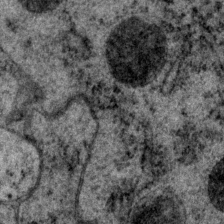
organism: P. pacificus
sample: Pharynx